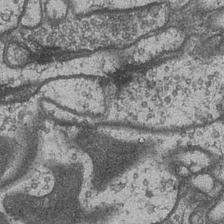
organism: Drosophila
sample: Optic medulla